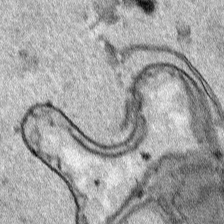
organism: Human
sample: Mitochondria in HCT116 cells